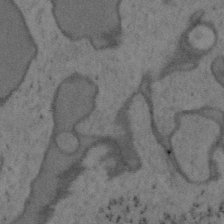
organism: Human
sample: HeLa cells